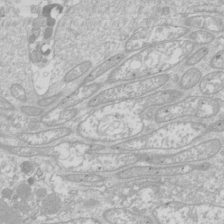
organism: Drosophila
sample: Cell division; meiosis; drosophila spermatocytes